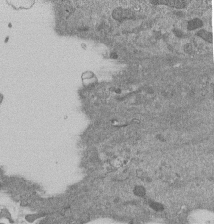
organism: Mouse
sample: ED-1 cell nuclei; centrioles